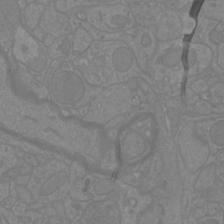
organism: Mouse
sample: Cortical neurons